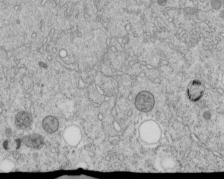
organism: C. elegans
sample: C. elegans embryo early stage